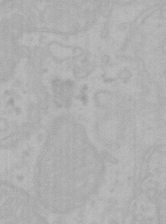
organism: Mouse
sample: Choroid plexus